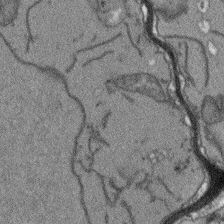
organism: Arabidopsis thaliana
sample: Root tip